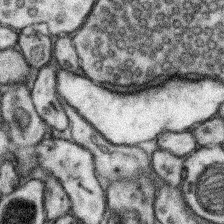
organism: Mouse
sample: Somatosensory cortex neuropil